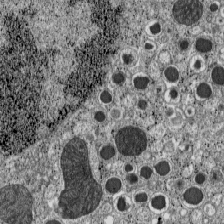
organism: C57BL Mouse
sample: Pancreatic islet